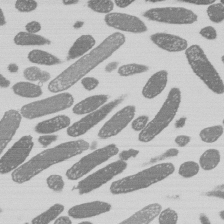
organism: E. coli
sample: Bacterial nucleoid